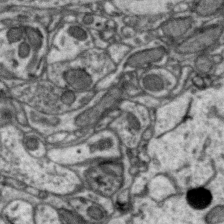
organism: Zebra finch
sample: Brain